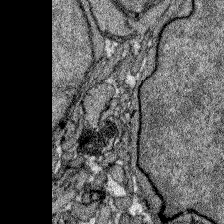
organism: Zebrafish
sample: Larval olfactory bulb